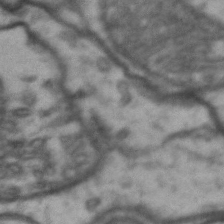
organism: Drosophila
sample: Brain